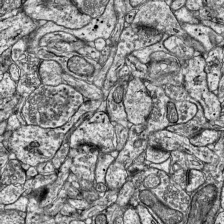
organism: Mouse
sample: Visual Cortex